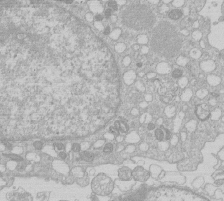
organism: Human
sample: Macrophage cells